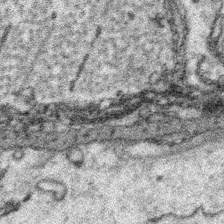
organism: Platynereis dumerilii